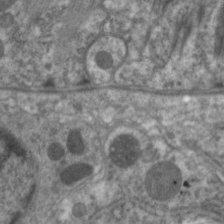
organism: C. elegans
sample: Pharynx